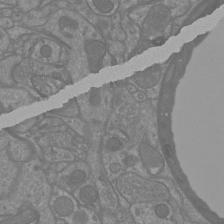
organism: Mouse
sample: Cortical neurons